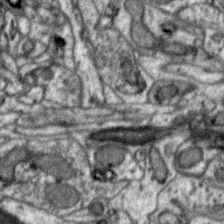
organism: Zebra finch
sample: Brain